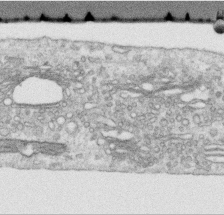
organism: Human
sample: Centriole in RPE cells